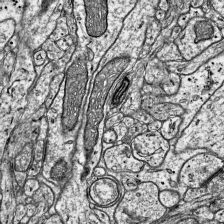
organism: Mouse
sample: Visual Cortex